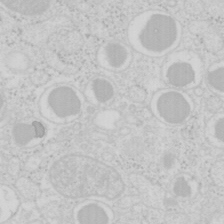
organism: Mouse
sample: Pancreas